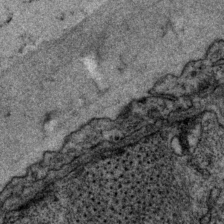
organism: P. pacificus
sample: Pharynx